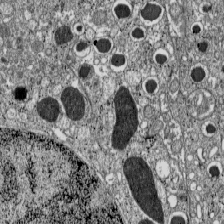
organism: C57BL Mouse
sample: Pancreatic islet